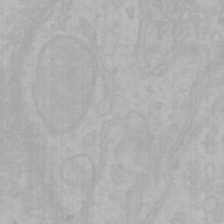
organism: Mouse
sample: Choroid plexus